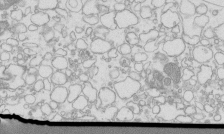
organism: Mouse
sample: Macrophages